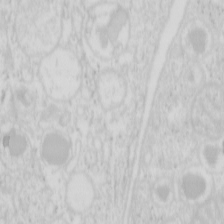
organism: Mouse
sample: Pancreas